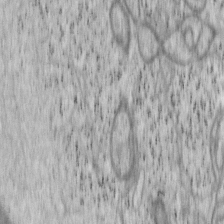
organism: Human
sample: HeLa cells